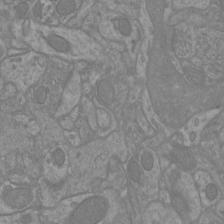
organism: Mouse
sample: Cortical neurons